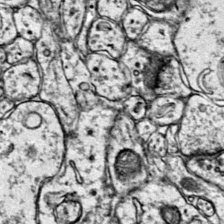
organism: Mouse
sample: Primary visual cortex